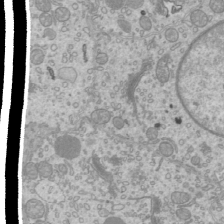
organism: Mouse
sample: Cilia; mouse epididymis